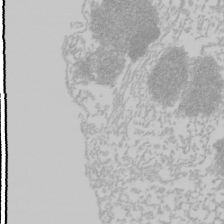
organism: Mouse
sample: Cancer cell death in ED-1 cells